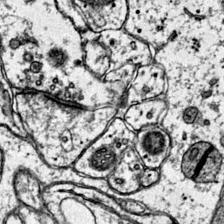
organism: Mouse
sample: Primary visual cortex